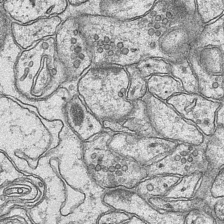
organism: Mouse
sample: CA1 Hippocampus